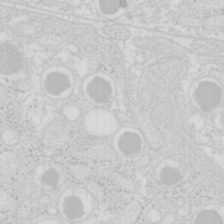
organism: Mouse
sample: Pancreas